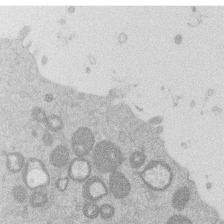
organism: Mouse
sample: Dividing mouse embryo 1 cell stage